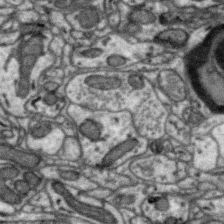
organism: Zebra finch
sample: Brain